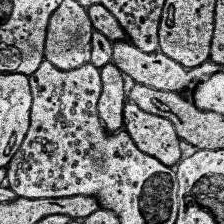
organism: Human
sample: Temporal Lobe